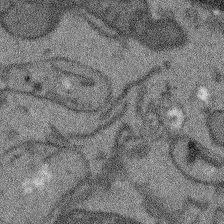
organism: Arabidopsis thaliana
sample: Root tip